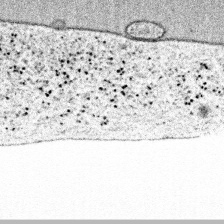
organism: Human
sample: HeLa cells